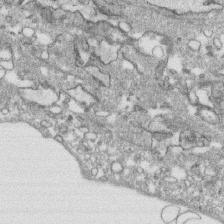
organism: Human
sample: CRL-1474